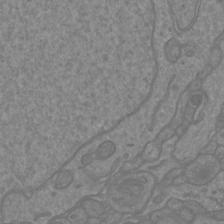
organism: Mouse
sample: Cortical neurons